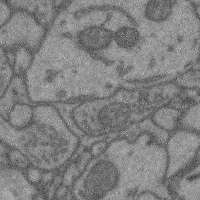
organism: Mouse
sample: Cerebral cortex